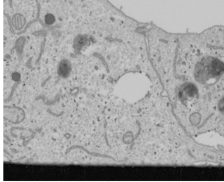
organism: Human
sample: Mitochondria in U2OS cells